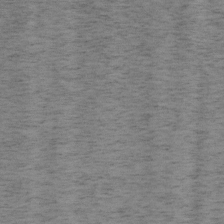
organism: Mouse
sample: OT-I killer T cells with ID8 ovarian cancer cells